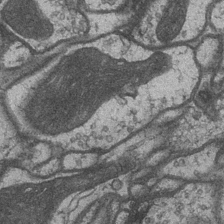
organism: Drosophila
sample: Optic medulla